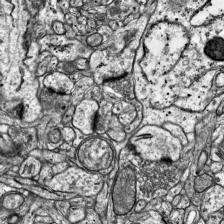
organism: Mouse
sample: Visual Cortex